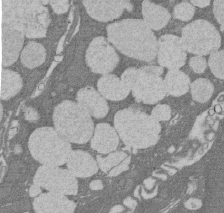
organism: Rat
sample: Salivary granule